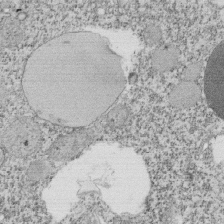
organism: Tetrahymena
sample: Cilia in tetrahymena